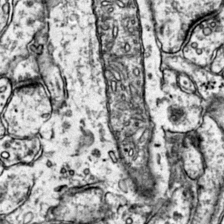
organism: Mouse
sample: Primary visual cortex